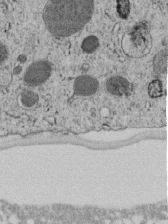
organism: C. elegans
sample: C. elegans embryo early stage